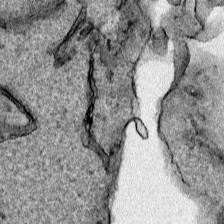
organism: Human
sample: Mitochondria in HCT116 cells